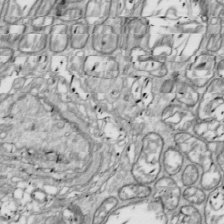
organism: Drosophila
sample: Cell division; meiosis; drosophila spermatocytes